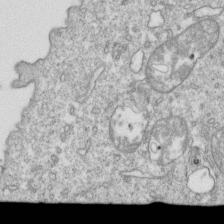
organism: Mouse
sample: Activated OT-1 CD8+ T cells